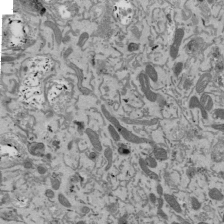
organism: Mouse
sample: ED-1 cell nuclei; centrioles